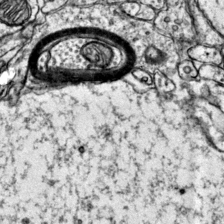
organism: Mouse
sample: Primary visual cortex